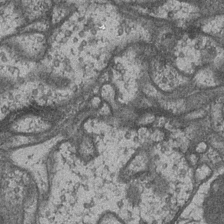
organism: Drosophila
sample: Optic medulla